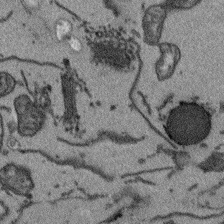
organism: Arabidopsis thaliana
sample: Root tip